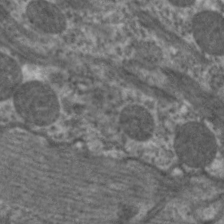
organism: C. elegans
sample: Pharynx